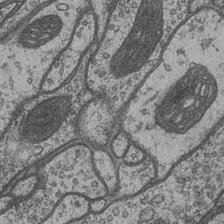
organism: Drosophila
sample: Optic medulla